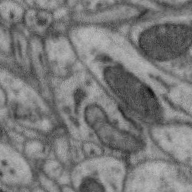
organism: Zebra finch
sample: Brain